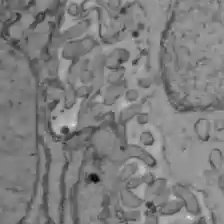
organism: C57BL Mouse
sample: Liver